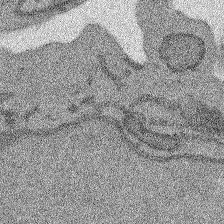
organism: Human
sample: HeLa cells